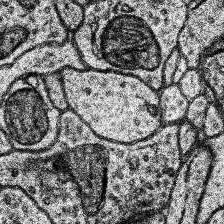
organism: Human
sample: Temporal Lobe